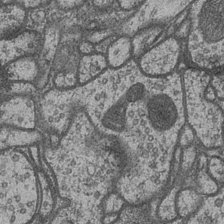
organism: Drosophila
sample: Optic medulla